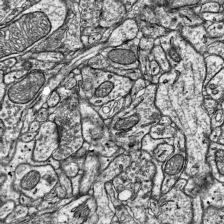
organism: Mouse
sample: Visual Cortex